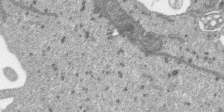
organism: Human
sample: Lung epithelial cells infected with SARS-CoV-2